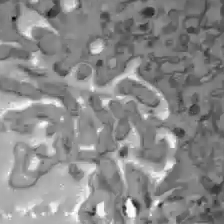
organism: C57BL Mouse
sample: Liver